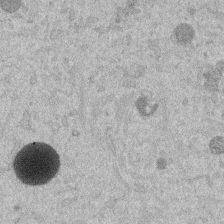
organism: Mouse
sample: Dividing mouse embryo 1 cell stage